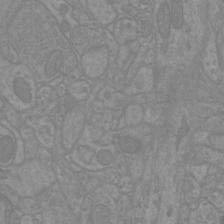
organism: Mouse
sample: Cortical neurons